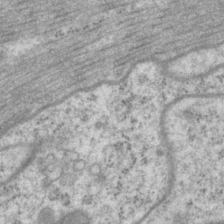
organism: P. pacificus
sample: Pharynx